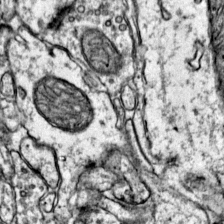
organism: Mouse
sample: Primary visual cortex